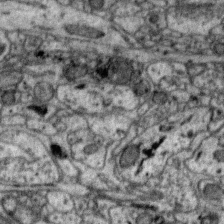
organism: Zebra finch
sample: Brain